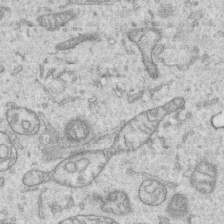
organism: Human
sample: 1205lu cells